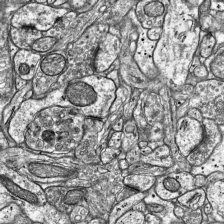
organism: Mouse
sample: Visual Cortex